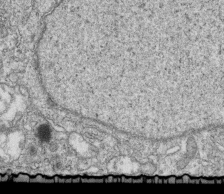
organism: Human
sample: HeLa cell HIV synapse